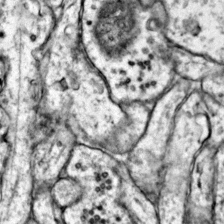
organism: Mouse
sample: Primary visual cortex